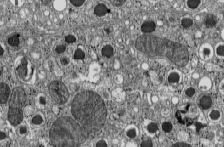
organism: C57BL Mouse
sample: Pancreatic islet